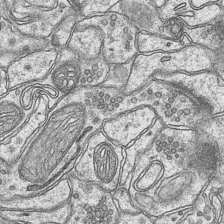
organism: Mouse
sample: CA1 Hippocampus